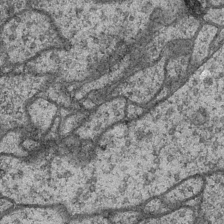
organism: Drosophila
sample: Optic medulla